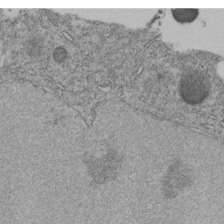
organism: C. elegans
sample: C. elegans embryo early stage